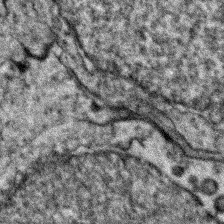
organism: Zebrafish